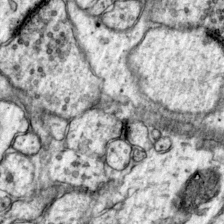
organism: Mouse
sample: Primary visual cortex